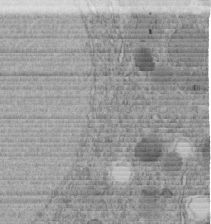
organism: C. elegans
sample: C. elegans embryo early stage